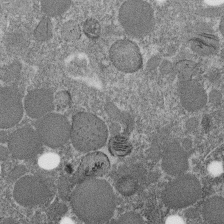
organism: C. elegans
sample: C. elegans embryo early stage